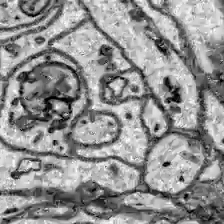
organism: Zebrafish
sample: Brain